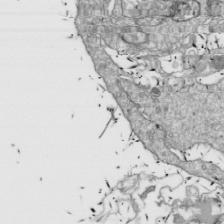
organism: Drosophila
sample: Cell division; meiosis; drosophila spermatocytes